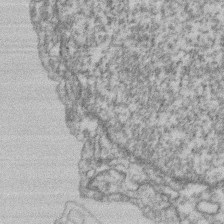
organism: Mouse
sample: T cell stromal cell synapse